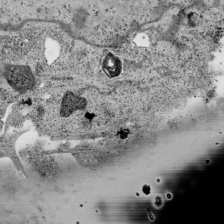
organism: Human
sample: Mitochondria in HCT116 cells